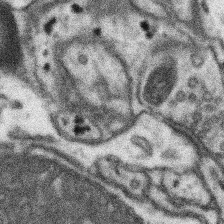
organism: Mouse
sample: Somatosensory cortex neuropil